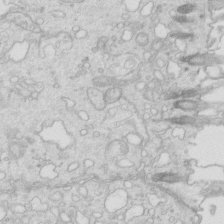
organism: Mouse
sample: Multiciliated cells